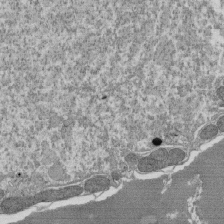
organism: Tetrahymena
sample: Cilia in tetrahymena